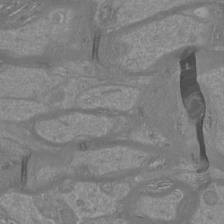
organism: Mouse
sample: Cortical neurons